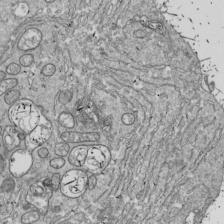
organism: Drosophila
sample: Cell division; meiosis; drosophila spermatocytes